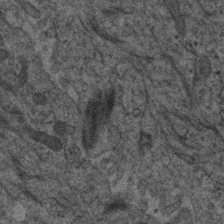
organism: Human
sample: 1205lu cells